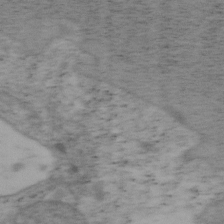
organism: Mouse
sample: OT-I killer T cells with ID8 ovarian cancer cells